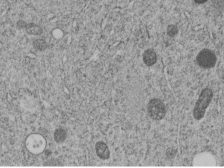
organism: C. elegans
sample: C. elegans embryo early stage